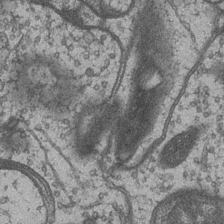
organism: Drosophila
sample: Optic medulla